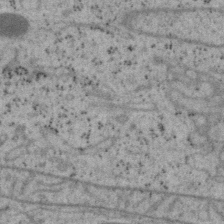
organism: Human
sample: HeLa cells